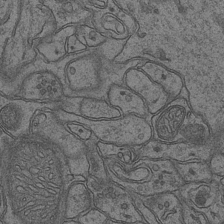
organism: Mouse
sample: CA1 Hippocampus